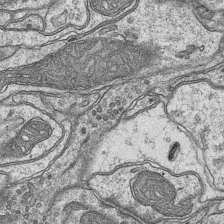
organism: Mouse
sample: CA1 Hippocampus